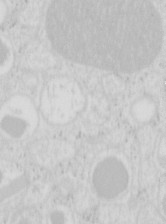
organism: Mouse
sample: Pancreas